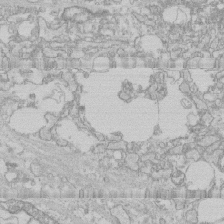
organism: Human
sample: CRL-1474